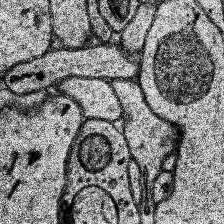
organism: Human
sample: Temporal Lobe